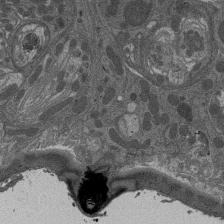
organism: Drosophila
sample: Antenna